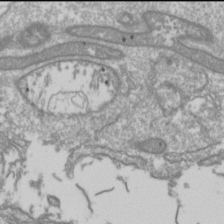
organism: Drosophila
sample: Cell division; meiosis; drosophila spermatocytes